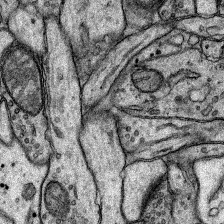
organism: Rat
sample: Hippocampus